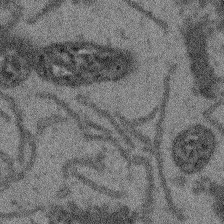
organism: Arabidopsis thaliana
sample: Root tip